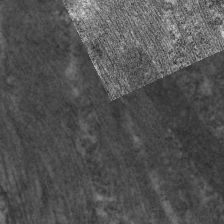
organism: C. elegans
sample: Pharynx